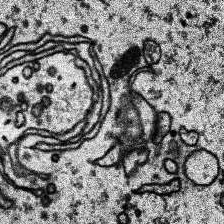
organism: Human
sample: Temporal Lobe